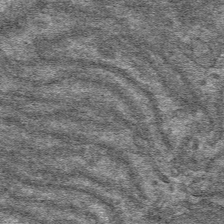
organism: Mouse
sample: Mouse hepatocytes